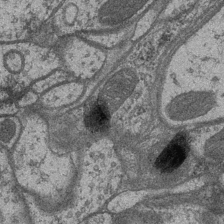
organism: Drosophila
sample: Optic medulla